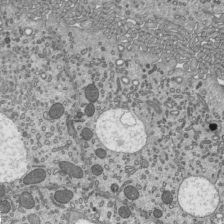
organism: Mouse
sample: Mouse epididymis efferent ductule cilia